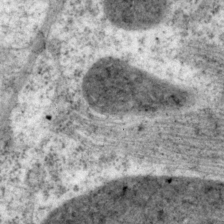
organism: P. pacificus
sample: Pharynx